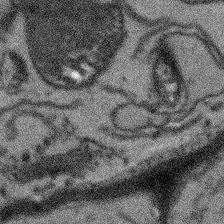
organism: Arabidopsis thaliana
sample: Root tip